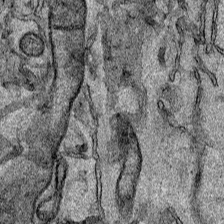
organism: Human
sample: Mitochondria in HCT116 cells